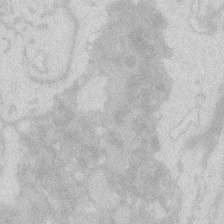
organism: Zebrafish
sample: Macrophage